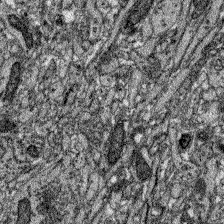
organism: Zebrafish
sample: Larval olfactory bulb